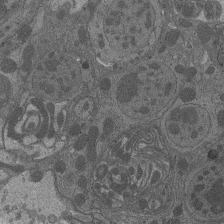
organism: Drosophila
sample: Antenna